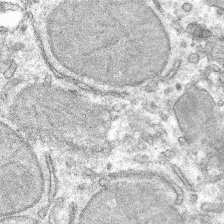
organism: Mouse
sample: Mouse hepatocytes